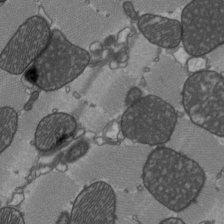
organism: C57BL Mouse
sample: Heart